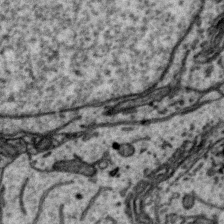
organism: Zebra finch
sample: Brain